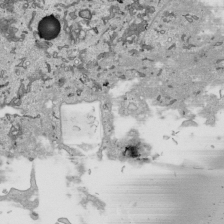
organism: Human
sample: Mitochondria in HCT116 cells